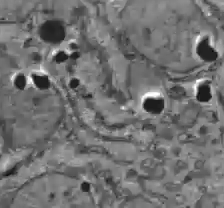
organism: C57BL Mouse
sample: Liver